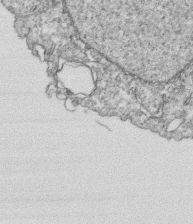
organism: Human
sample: HeLa cell HIV synapse